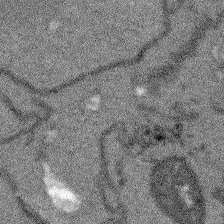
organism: Arabidopsis thaliana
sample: Root tip